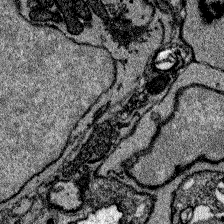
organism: Zebrafish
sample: Larval olfactory bulb